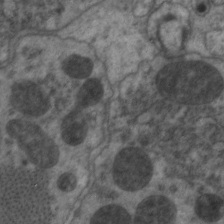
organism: C. elegans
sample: Pharynx